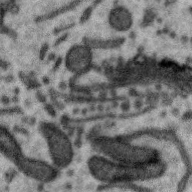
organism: Zebra finch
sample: Brain